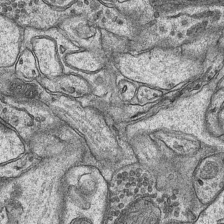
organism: Mouse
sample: CA1 Hippocampus